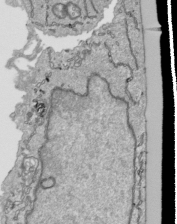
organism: Human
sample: Mitochondria in HCT116 cells